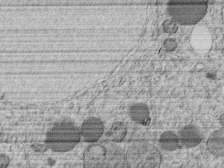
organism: C. elegans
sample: C. elegans embryo early stage